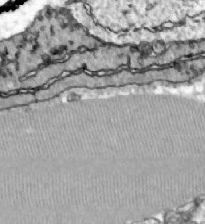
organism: Zebrafish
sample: Actinotrichia fibers